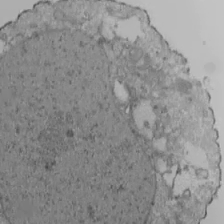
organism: Human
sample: Jurkat E6-1 and CD4 cells